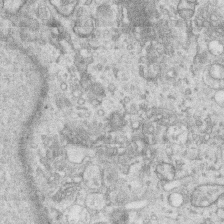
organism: Human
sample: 1205lu cells